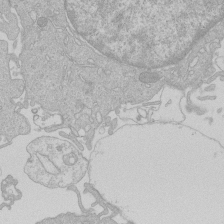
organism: Human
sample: Macrophage cells